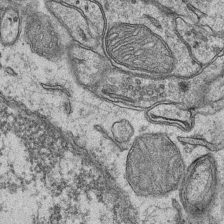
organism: Mouse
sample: CA1 Hippocampus